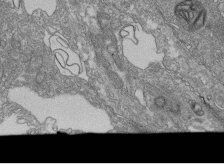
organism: Human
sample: Retinal organoid Rod and Cone cells